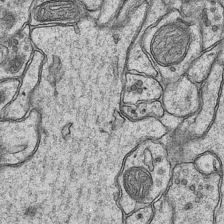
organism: Mouse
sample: CA1 Hippocampus